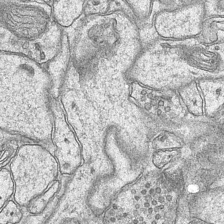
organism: Mouse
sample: CA1 Hippocampus